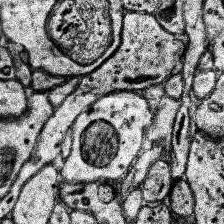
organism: Human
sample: Temporal Lobe